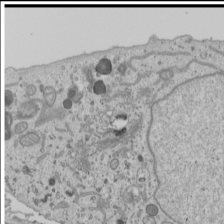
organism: Human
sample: Mitochondria in U2OS cells